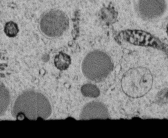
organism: C. elegans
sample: C. elegans embryo early stage